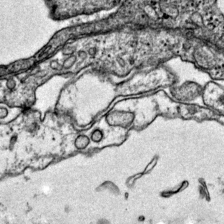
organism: Mouse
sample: Primary visual cortex